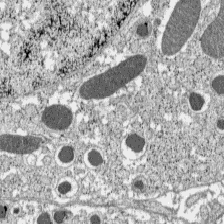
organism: C57BL Mouse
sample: Pancreatic islet